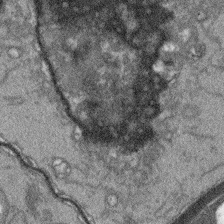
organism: Arabidopsis thaliana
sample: Root tip